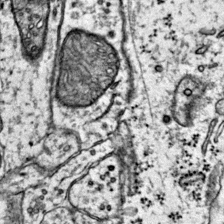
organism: Mouse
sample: Primary visual cortex